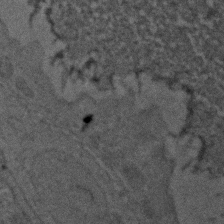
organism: Zebrafish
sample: Zebrafish embryo